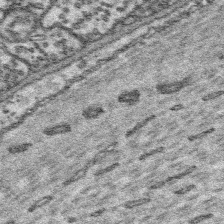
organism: Platynereis dumerilii